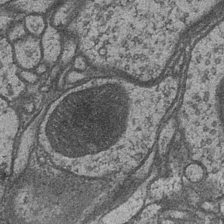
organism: Drosophila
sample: Optic medulla